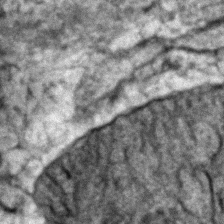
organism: Zebrafish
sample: Zebrafish embryo